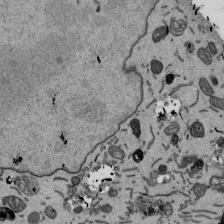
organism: Mouse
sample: ED-1 cell nuclei; centrioles